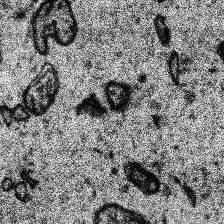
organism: Human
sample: Temporal Lobe